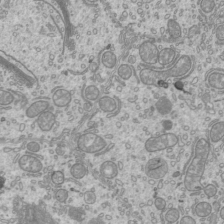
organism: Mouse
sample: Cilia; mouse epididymis